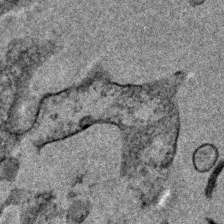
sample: Trachea